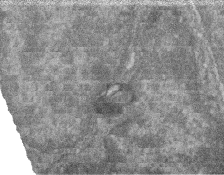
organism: Zebrafish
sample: Cilia; retinal pigment epithelium